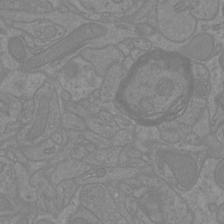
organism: Mouse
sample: Cortical neurons